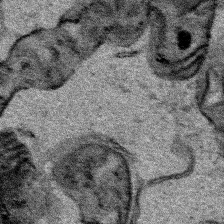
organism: Human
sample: Mitochondria in HCT116 cells